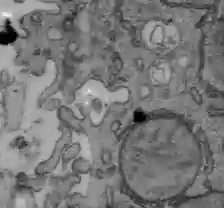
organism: C57BL Mouse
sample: Liver